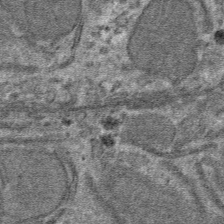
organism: Mouse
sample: Mouse hepatocytes